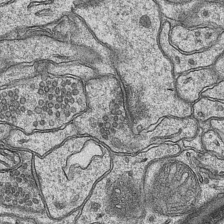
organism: Mouse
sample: CA1 Hippocampus